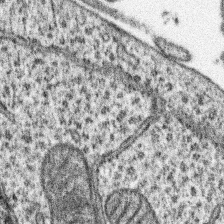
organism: Human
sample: HeLa cells